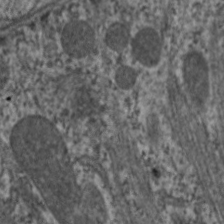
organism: C. elegans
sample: Pharynx